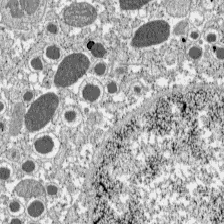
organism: C57BL Mouse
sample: Pancreatic islet